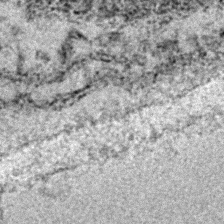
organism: E. coli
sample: E. Coli Bacteria